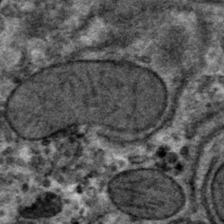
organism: Mouse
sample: Mouse hepatocytes